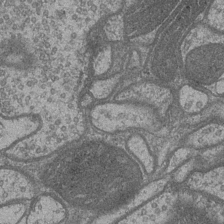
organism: Drosophila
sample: Optic medulla